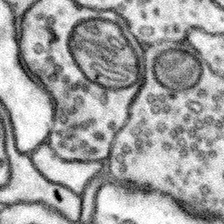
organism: Mouse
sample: Somatosensory cortex neuropil